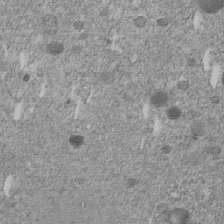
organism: C. elegans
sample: C. elegans embryo early stage